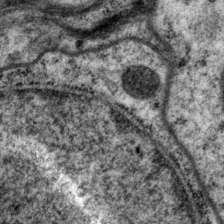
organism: P. pacificus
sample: Pharynx